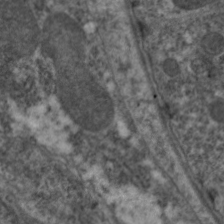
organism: C. elegans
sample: Pharynx